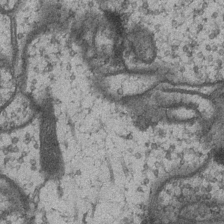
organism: Drosophila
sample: Optic medulla